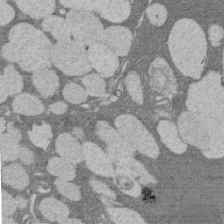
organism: Rat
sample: Salivary granule